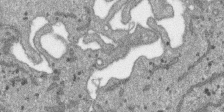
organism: Human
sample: Lung epithelial cells infected with SARS-CoV-2